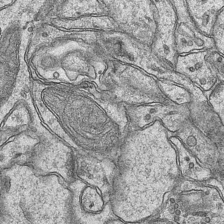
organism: Mouse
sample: CA1 Hippocampus